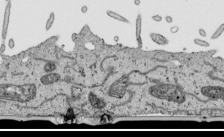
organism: Human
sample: Mitochondria in HCT116 cells